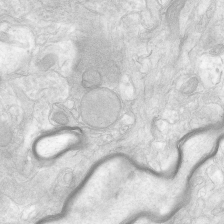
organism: Human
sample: Neocortex